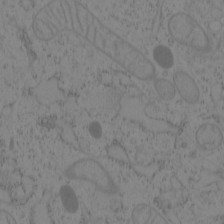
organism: Human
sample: HeLa cells